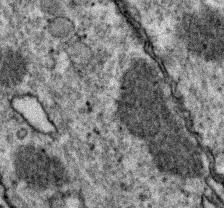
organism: Zebrafish